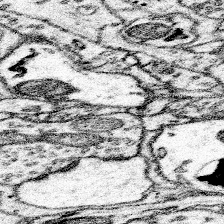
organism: Mouse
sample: Somatosensory cortex neuropil